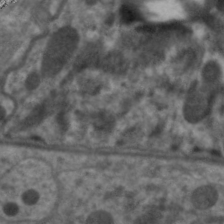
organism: C. elegans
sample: Pharynx